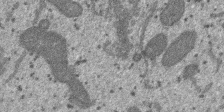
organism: Human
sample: Lung epithelial cells infected with SARS-CoV-2